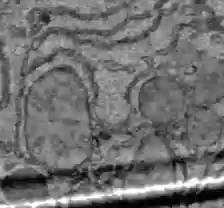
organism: C57BL Mouse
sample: Liver